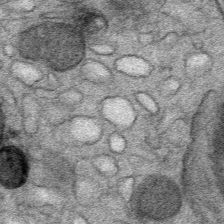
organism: Mouse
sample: Mouse Salivary gland